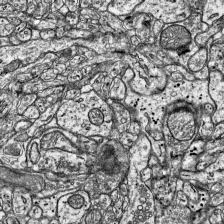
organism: Mouse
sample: Visual Cortex